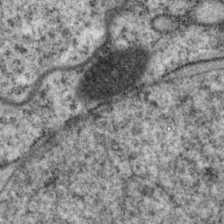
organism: P. pacificus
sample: Pharynx